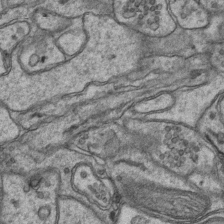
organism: Mouse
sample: CA1 Hippocampus